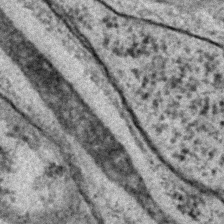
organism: C. elegans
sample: C. elegans embryo